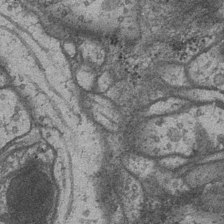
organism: Drosophila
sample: Optic medulla